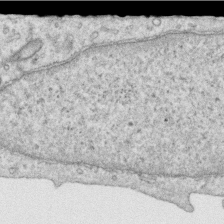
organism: Human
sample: Centriole in RPE cells